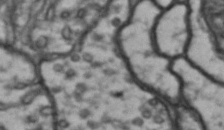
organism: Drosophila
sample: Brain